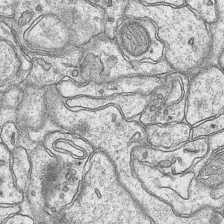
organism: Mouse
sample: CA1 Hippocampus